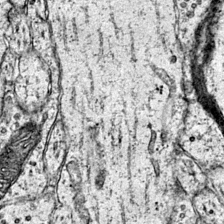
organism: Mouse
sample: Primary visual cortex